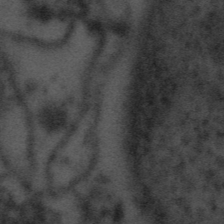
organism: Tuwongella immobilis